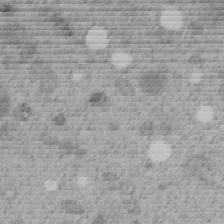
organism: C. elegans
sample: C. elegans embryo early stage